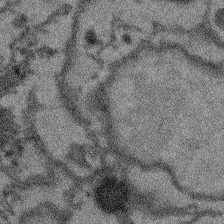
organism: Arabidopsis thaliana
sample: Root tip